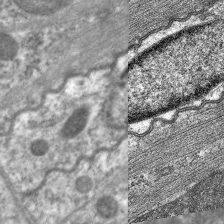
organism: C. elegans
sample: Pharynx